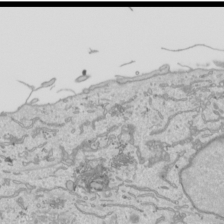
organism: Human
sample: Mitochondria in HCT116 cells